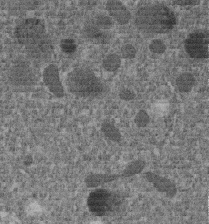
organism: C. elegans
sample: C. elegans embryo early stage